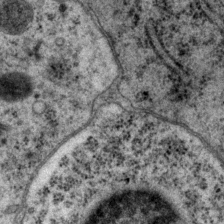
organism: P. pacificus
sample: Pharynx